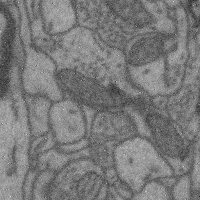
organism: Mouse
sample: Cerebral cortex